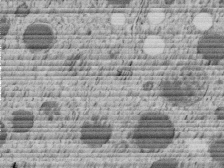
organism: C. elegans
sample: C. elegans embryo early stage